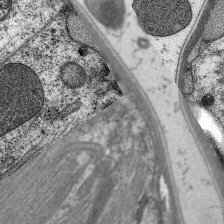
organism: C. elegans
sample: Pharynx